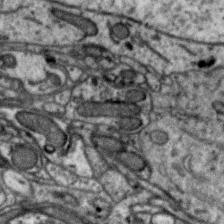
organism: Zebra finch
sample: Brain